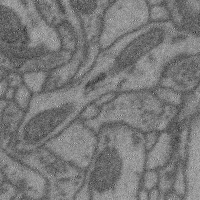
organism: Mouse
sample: Cerebral cortex